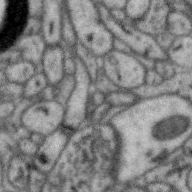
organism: Zebra finch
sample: Brain